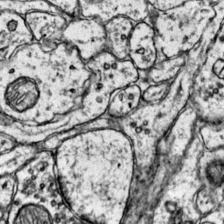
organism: Mouse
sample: Primary visual cortex